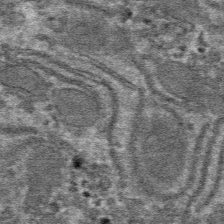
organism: Mouse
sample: Mouse hepatocytes